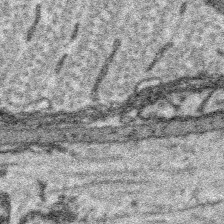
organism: Platynereis dumerilii